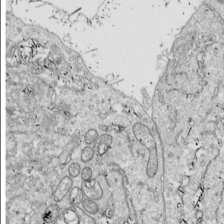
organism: Drosophila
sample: Cell division; meiosis; drosophila spermatocytes